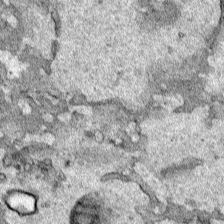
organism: Human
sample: Mitochondria in HCT116 cells